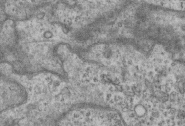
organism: Mouse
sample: Centriole in ependymal cells